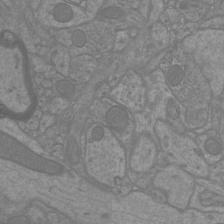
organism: Mouse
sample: Cortical neurons